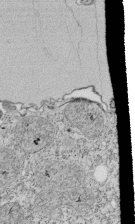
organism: Tetrahymena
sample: Cilia in tetrahymena